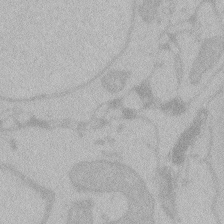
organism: Zebrafish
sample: Macrophage infected with Toxoplasma gondii